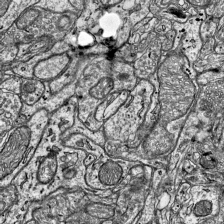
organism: Mouse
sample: Visual Cortex